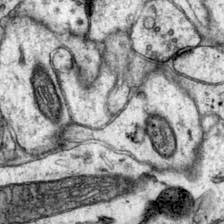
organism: Mouse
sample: Primary visual cortex